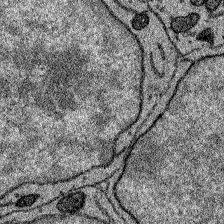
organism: Zebrafish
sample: Larval olfactory bulb